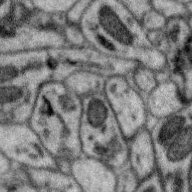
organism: Zebra finch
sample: Brain